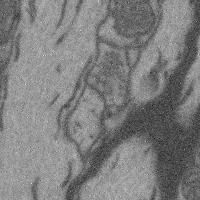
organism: Mouse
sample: Cerebral cortex